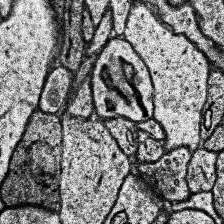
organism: Human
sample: Temporal Lobe